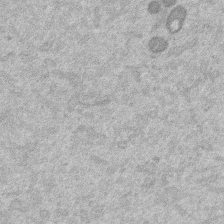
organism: Mouse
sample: Dividing mouse embryo 1 cell stage